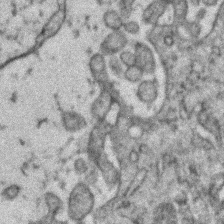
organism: Zebrafish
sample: Zebrafish embryo